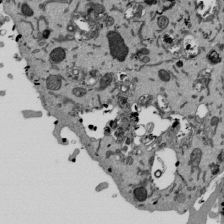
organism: Mouse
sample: ED-1 cell nuclei; centrioles